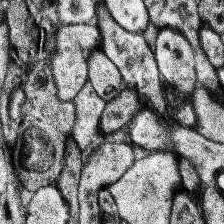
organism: Human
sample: Temporal Lobe